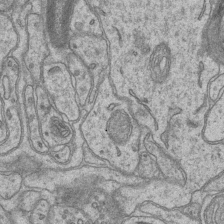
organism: Mouse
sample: CA1 Hippocampus